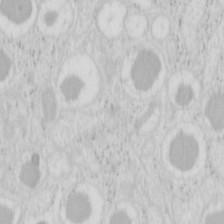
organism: Mouse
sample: Pancreas